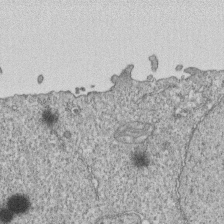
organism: Human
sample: HeLa cell HIV synapse